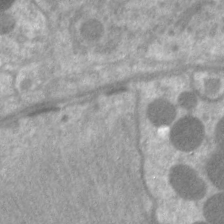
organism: C. elegans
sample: Pharynx